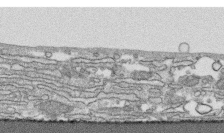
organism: Human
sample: CRL-1474